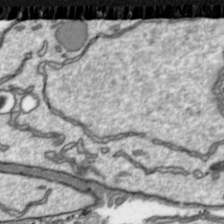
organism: Toxoplasma gondii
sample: Parasites in a vacuole inside a host cell